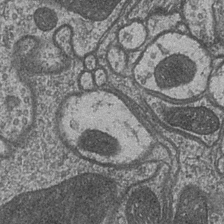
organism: Drosophila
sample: Optic medulla